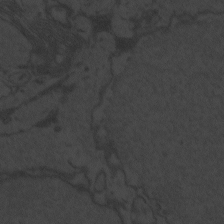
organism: Zebrafish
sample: Macrophage infected with Toxoplasma gondii